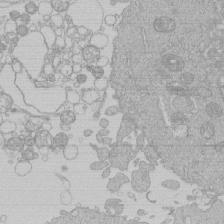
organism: Human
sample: Macrophage cells